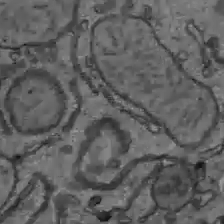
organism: C57BL Mouse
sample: Liver